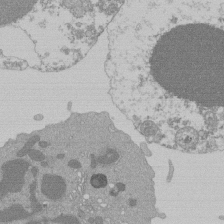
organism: Mouse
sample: Activated Pmel transgenic CD8+ T Cells